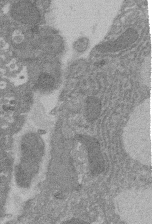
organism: Rat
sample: Salivary granule